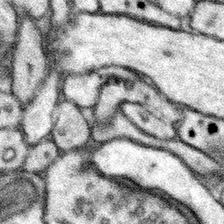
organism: Mouse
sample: Somatosensory cortex neuropil